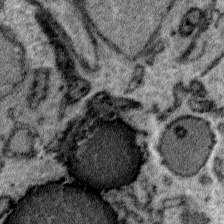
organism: Plasmodium falciparum